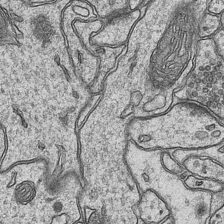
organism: Mouse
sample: CA1 Hippocampus